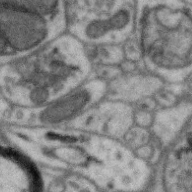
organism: Zebra finch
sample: Brain